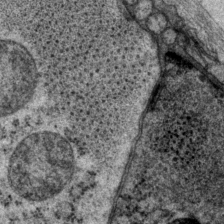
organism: P. pacificus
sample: Pharynx